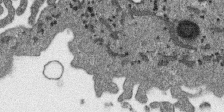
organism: Human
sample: Lung epithelial cells infected with SARS-CoV-2